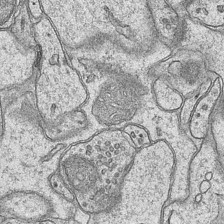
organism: Mouse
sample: CA1 Hippocampus